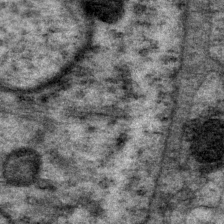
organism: P. pacificus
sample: Pharynx